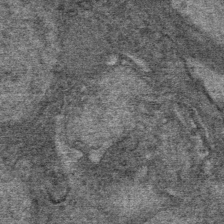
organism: Mouse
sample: Mouse Salivary gland